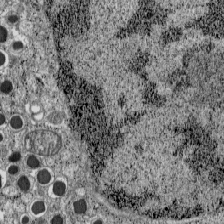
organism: C57BL Mouse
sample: Pancreatic islet